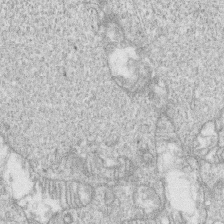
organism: Human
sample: HeLa cell HIV synapse